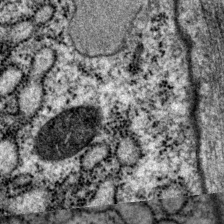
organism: P. pacificus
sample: Pharynx